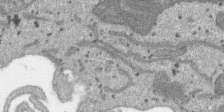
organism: Human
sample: Lung epithelial cells infected with SARS-CoV-2